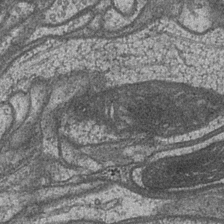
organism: Drosophila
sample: Optic medulla